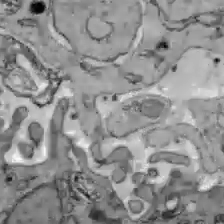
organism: C57BL Mouse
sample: Liver